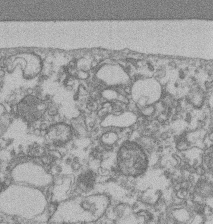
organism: Mouse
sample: T cell stromal cell synapse